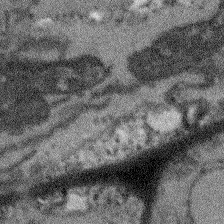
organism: Arabidopsis thaliana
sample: Root tip